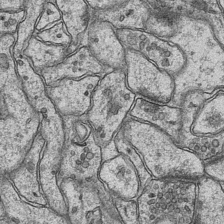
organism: Mouse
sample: CA1 Hippocampus